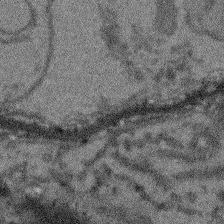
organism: Arabidopsis thaliana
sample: Root tip